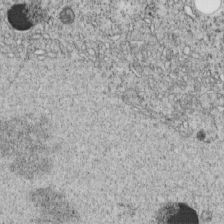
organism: C. elegans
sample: C. elegans embryo early stage